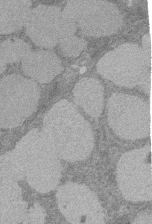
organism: Rat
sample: Salivary granule